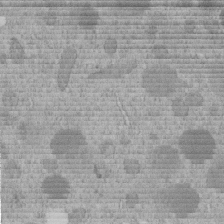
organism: C. elegans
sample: C. elegans embryo early stage